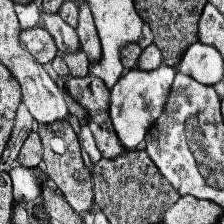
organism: Human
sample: Temporal Lobe